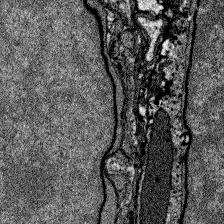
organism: Zebrafish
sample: Larval olfactory bulb